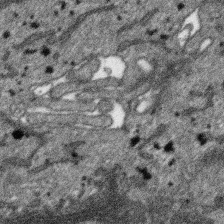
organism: Human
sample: Lung epithelial cells infected with SARS-CoV-2